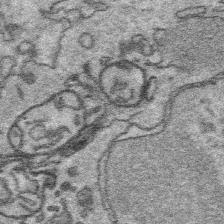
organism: Platynereis dumerilii